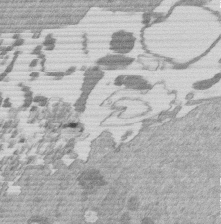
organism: Mouse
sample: Dividing mouse embryo 1 cell stage